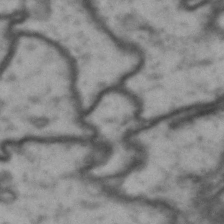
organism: Drosophila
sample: Brain